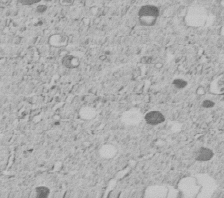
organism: C. elegans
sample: C. elegans embryo early stage